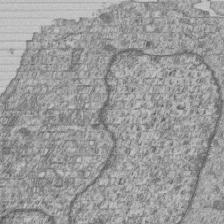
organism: Human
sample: MDA-MB-231 cells